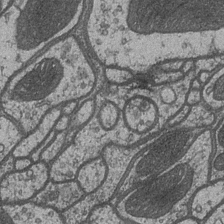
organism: Drosophila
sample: Optic medulla